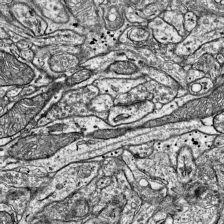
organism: Mouse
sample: Visual Cortex